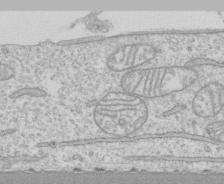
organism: Human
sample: CRL-1474